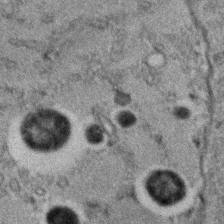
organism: C. elegans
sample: C. elegans embryo